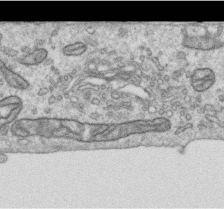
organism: Human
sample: Centriole in RPE cells